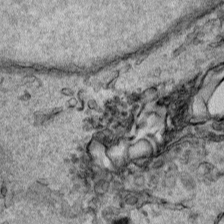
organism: Human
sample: Mitochondria in HCT116 cells